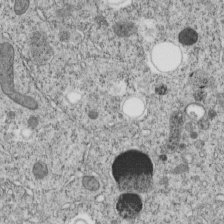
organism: C. elegans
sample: C. elegans embryo early stage